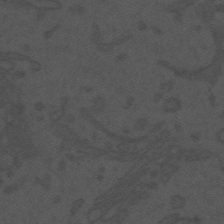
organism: Mouse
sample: Suprachiasmatic nucleus